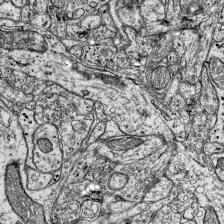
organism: Mouse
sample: Visual Cortex